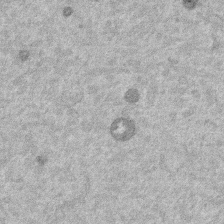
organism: Mouse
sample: Dividing mouse embryo 1 cell stage